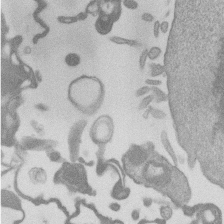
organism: Mouse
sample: Dividing mouse embryo 1 cell stage